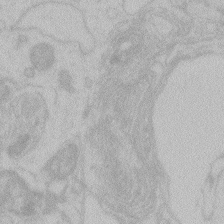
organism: Zebrafish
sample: Macrophage infected with Toxoplasma gondii